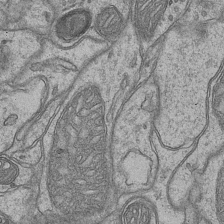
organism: Mouse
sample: CA1 Hippocampus